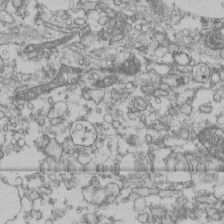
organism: Human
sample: Fibroblast cells